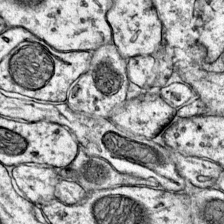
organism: Mouse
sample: Primary visual cortex